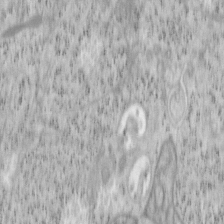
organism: Human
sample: HeLa cells